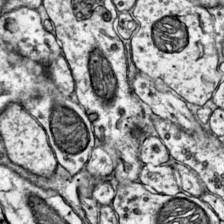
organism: Mouse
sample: Primary visual cortex